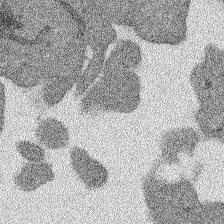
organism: Human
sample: HeLa cells